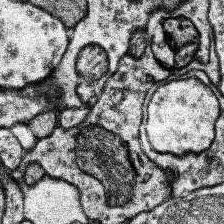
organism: Human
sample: Temporal Lobe